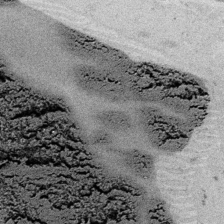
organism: Embia sp.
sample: Silk gland